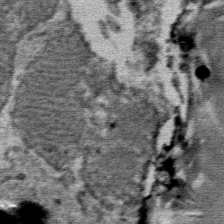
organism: Mouse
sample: Mouse Salivary gland